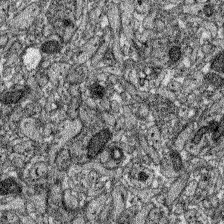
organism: Zebrafish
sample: Larval olfactory bulb